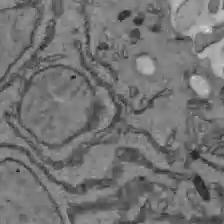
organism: C57BL Mouse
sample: Liver